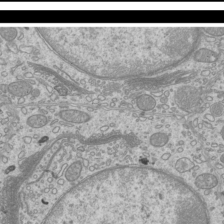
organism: Mouse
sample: Cilia; mouse epididymis